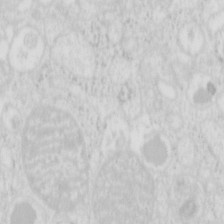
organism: Mouse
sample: Pancreas